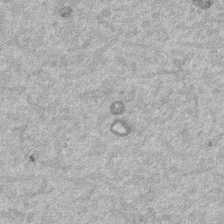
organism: Mouse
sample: Dividing mouse embryo 1 cell stage